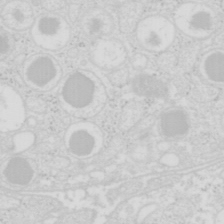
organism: Mouse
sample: Pancreas